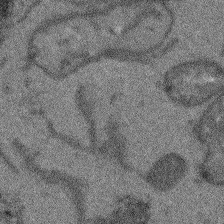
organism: Arabidopsis thaliana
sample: Root tip